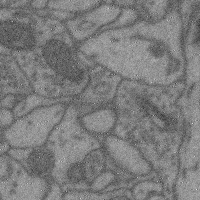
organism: Mouse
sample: Cerebral cortex